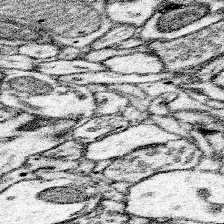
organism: Mouse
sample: Somatosensory cortex neuropil